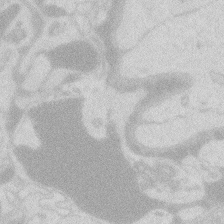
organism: Zebrafish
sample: Macrophage